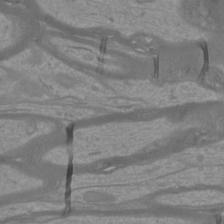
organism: Mouse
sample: Cortical neurons